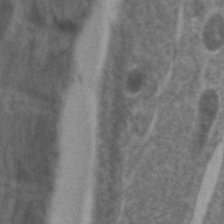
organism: Zebrafish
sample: Zebrafish embryo